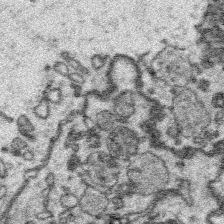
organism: Platynereis dumerilii